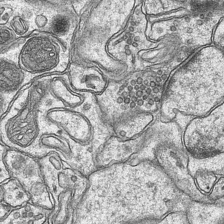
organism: Mouse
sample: CA1 Hippocampus